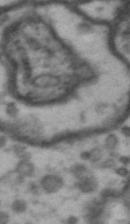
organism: Drosophila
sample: Brain